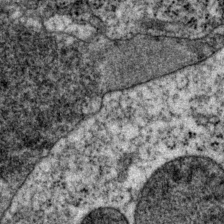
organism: P. pacificus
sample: Pharynx